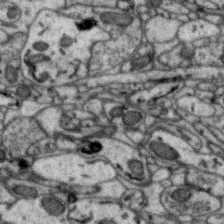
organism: Zebra finch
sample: Brain